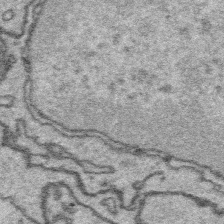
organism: Platynereis dumerilii